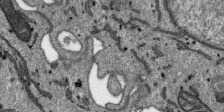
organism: Human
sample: Lung epithelial cells, uninfected (mock) control